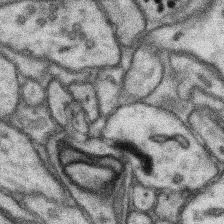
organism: Mouse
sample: Somatosensory cortex neuropil